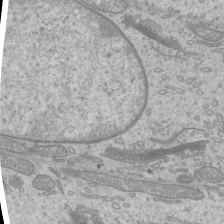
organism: Mouse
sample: Cilia; mouse epididymis